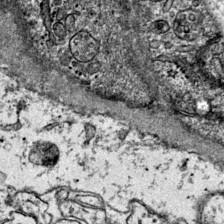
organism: Mouse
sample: Primary visual cortex